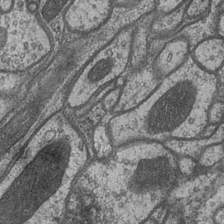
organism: Drosophila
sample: Optic medulla